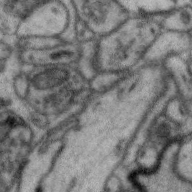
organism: Zebra finch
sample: Brain